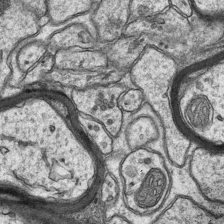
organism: Mouse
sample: CA1 Hippocampus